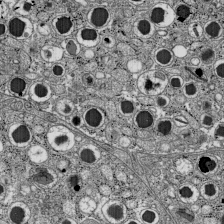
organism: C57BL Mouse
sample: Pancreatic islet